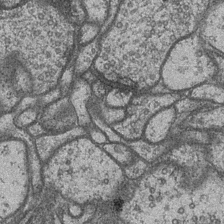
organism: Drosophila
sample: Optic medulla